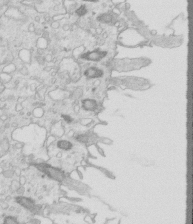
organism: Mouse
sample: Multiciliated cells